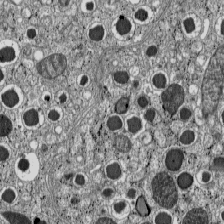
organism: C57BL Mouse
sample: Pancreatic islet